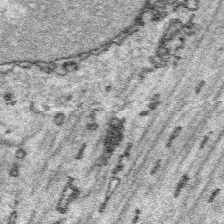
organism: Platynereis dumerilii